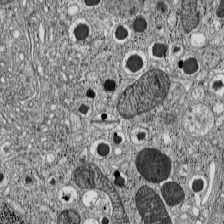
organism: C57BL Mouse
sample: Pancreatic islet